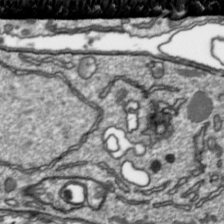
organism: Toxoplasma gondii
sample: Parasites in a vacuole inside a host cell